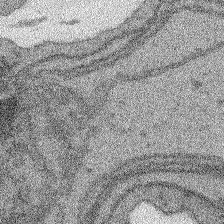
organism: Human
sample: HeLa cells